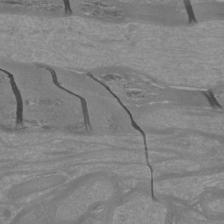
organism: Mouse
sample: Cortical neurons